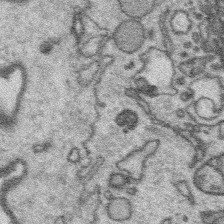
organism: Platynereis dumerilii